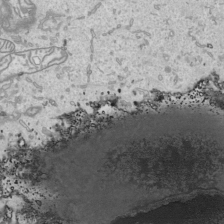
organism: Human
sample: Mitochondria in HCT116 cells